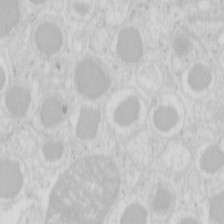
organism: Mouse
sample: Pancreas